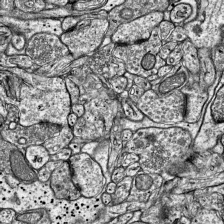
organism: Mouse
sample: Visual Cortex